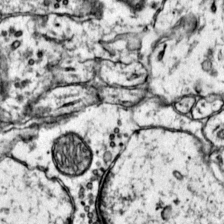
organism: Mouse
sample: Primary visual cortex